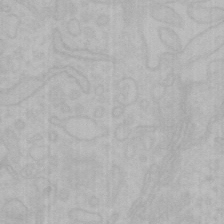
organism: Mouse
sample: Choroid plexus